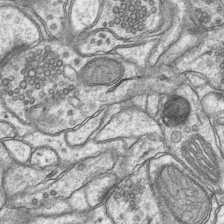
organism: Mouse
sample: CA1 Hippocampus